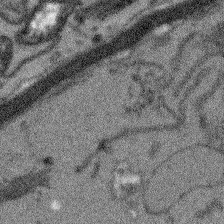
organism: Arabidopsis thaliana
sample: Root tip